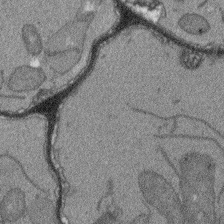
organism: Arabidopsis thaliana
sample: Root tip